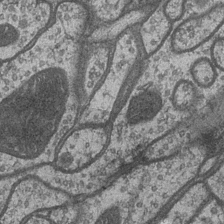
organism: Drosophila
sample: Optic medulla